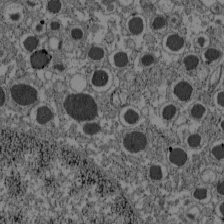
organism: C57BL Mouse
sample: Pancreatic islet